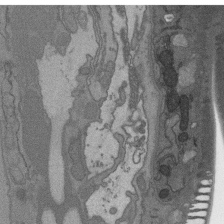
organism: C. elegans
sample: AFD neurons C. elegans